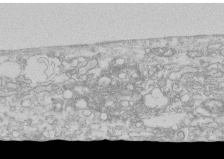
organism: Human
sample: CRL-1474